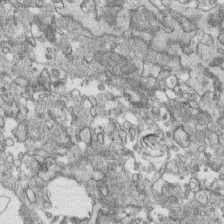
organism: Human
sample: CRL-1474